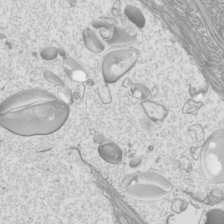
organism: Mouse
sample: Cilia; mouse epididymis